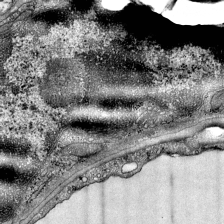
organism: Mouse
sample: Visual Cortex